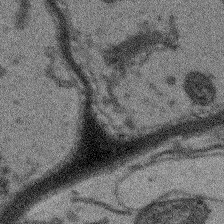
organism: Arabidopsis thaliana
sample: Root tip